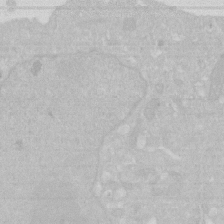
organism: Human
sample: HIV infected U937 cells